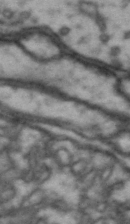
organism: Drosophila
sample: Brain